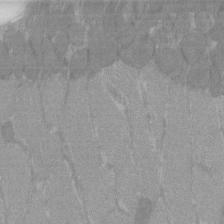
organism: C57BL Mouse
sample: Tibialis anterior muscle cell